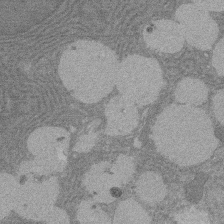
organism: Rat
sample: Salivary granule